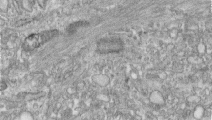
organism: Human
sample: Centriole in RPE cells